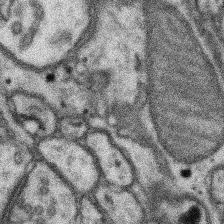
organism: Mouse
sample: Somatosensory cortex neuropil